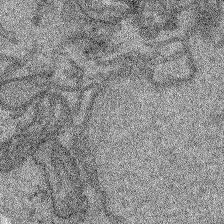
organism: Human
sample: HeLa cells